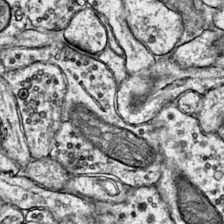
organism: Mouse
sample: Primary visual cortex